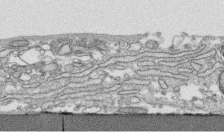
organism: Human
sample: CRL-1474